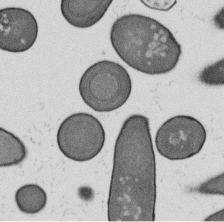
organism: B. subtilis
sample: Bacterial spore